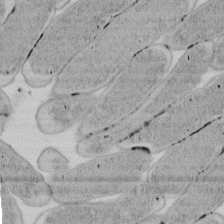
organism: E. coli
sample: Bacterial nucleoid